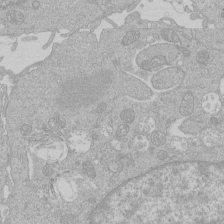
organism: Human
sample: Macrophage cells